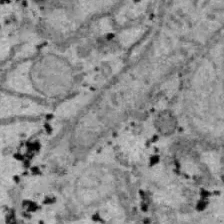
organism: Mouse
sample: Liver from an obese (ob/ob) mouse